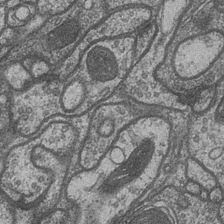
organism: Drosophila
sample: Optic medulla